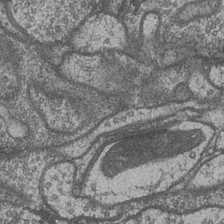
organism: Drosophila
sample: Optic medulla